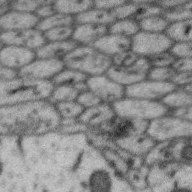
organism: Zebra finch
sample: Brain